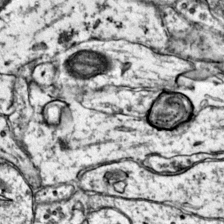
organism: Mouse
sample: Primary visual cortex